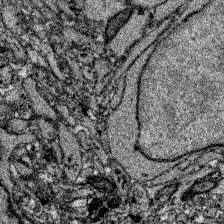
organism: Zebrafish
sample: Larval olfactory bulb